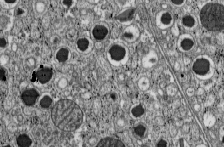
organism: C57BL Mouse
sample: Pancreatic islet